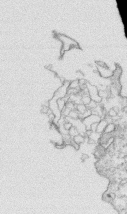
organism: Human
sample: HeLa cell HIV synapse